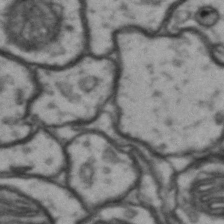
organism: Drosophila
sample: Brain